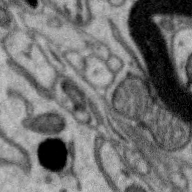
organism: Zebra finch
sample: Brain